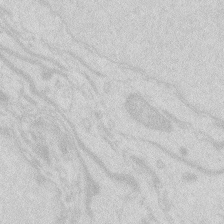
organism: Zebrafish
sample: Macrophage